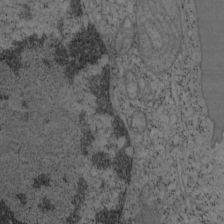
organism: Mouse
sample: OT-I killer T cells with ID8 ovarian cancer cells